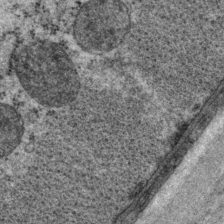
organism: P. pacificus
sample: Pharynx